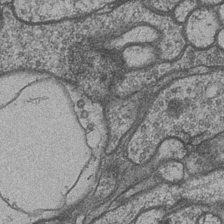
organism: Drosophila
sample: Optic medulla